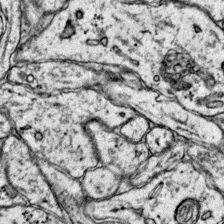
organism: Mouse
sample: Primary visual cortex